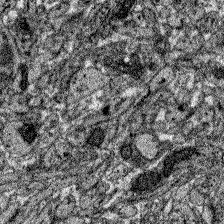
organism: Zebrafish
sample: Larval olfactory bulb